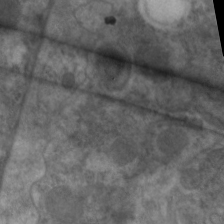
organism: C. elegans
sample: Pharynx